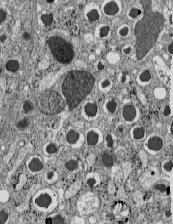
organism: C57BL Mouse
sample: Pancreatic islet